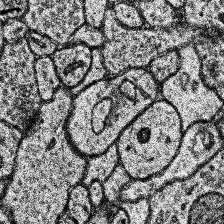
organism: Human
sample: Temporal Lobe